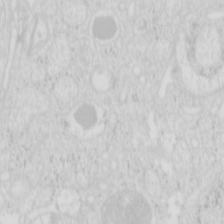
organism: Mouse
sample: Pancreas